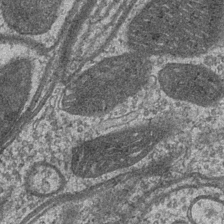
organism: Drosophila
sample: Optic medulla